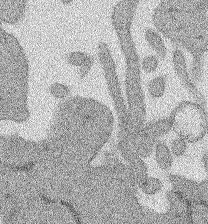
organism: Human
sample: HeLa cells